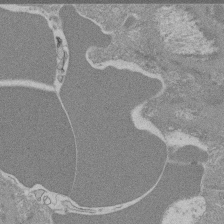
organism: Mouse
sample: Glomerulus